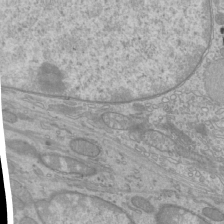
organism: Mouse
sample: Cilia; mouse epididymis